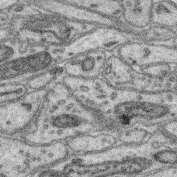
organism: Mouse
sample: Retina